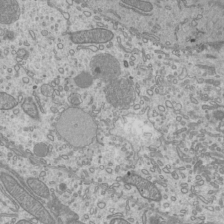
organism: Mouse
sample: Cilia; mouse epididymis